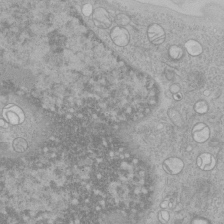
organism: Human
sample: Mitochondria in HCT116 cells